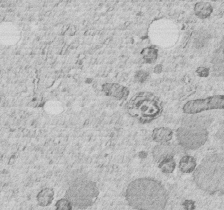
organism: C. elegans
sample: C. elegans embryo early stage